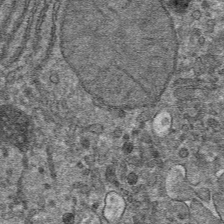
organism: Mouse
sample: Mouse hepatocytes